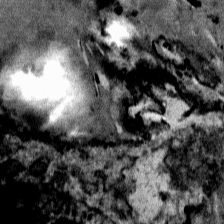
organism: Mouse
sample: Mouse Salivary gland